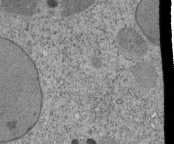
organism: Tetrahymena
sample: Cilia in tetrahymena